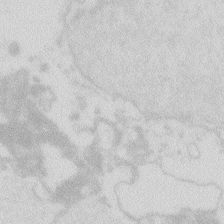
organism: Zebrafish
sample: Macrophage